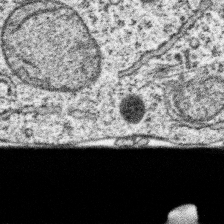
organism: Human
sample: HeLa cells